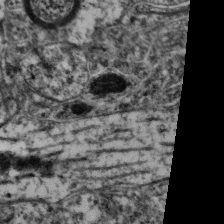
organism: Mouse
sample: Neocortex